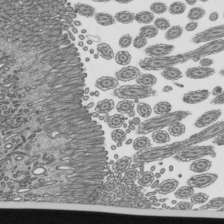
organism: Mouse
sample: Mouse epididymis efferent ductule cilia